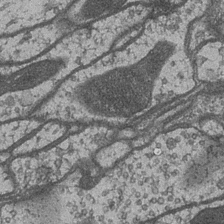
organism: Drosophila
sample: Optic medulla